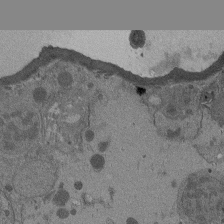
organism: Drosophila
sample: Antenna